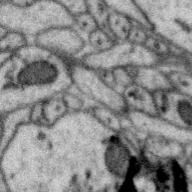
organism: Zebra finch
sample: Brain